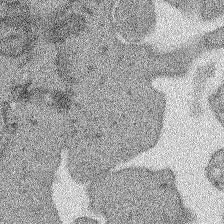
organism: Human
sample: HeLa cells